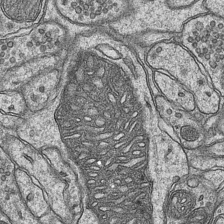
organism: Mouse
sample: CA1 Hippocampus